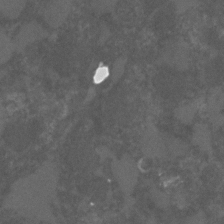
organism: C. elegans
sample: C. elegans embryo